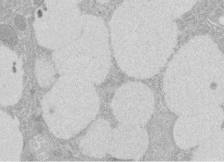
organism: Rat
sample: Salivary granule